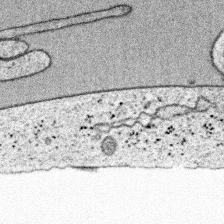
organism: Human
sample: HeLa cells